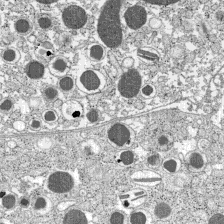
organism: C57BL Mouse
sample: Pancreatic islet